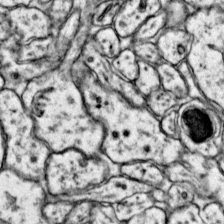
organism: Mouse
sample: Primary visual cortex